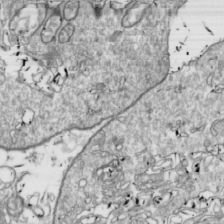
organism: Drosophila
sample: Cell division; meiosis; drosophila spermatocytes